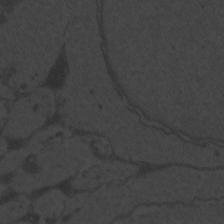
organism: Zebrafish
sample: Macrophage infected with Toxoplasma gondii